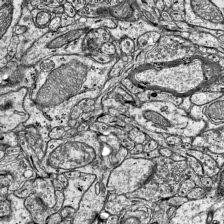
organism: Mouse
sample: Visual Cortex